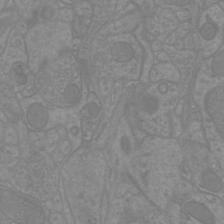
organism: Mouse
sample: Cortical neurons